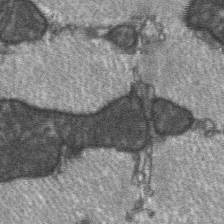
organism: C57BL Mouse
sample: Soleus